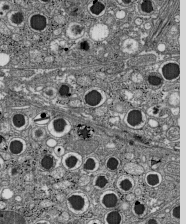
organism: C57BL Mouse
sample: Pancreatic islet